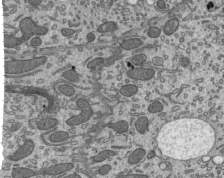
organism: Mouse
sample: Mouse epididymis efferent ductule cilia